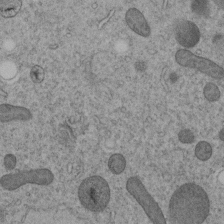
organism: C. elegans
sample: C. elegans embryo early stage